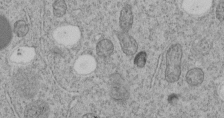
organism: C. elegans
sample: C. elegans embryo early stage